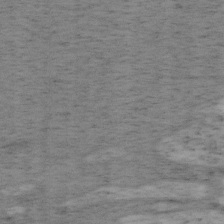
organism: Mouse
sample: OT-I killer T cells with ID8 ovarian cancer cells